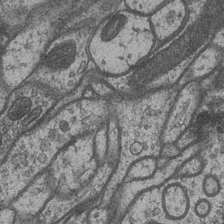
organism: Drosophila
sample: Optic medulla